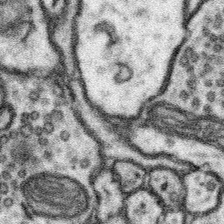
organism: Mouse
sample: Somatosensory cortex neuropil